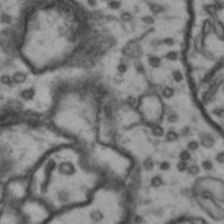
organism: Drosophila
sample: Brain